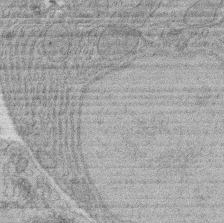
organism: Rat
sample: Salivary granule